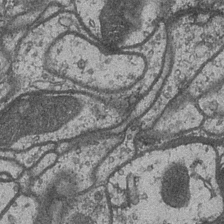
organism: Drosophila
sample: Optic medulla